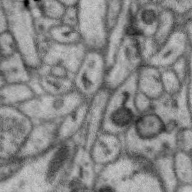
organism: Zebra finch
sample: Brain